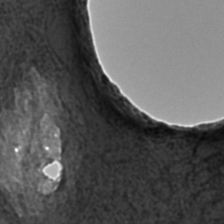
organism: C. elegans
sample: C. elegans embryo